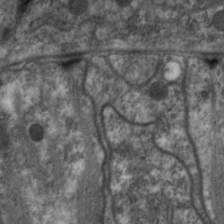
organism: C. elegans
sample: Pharynx